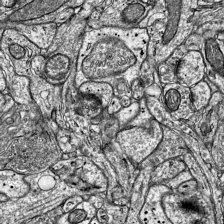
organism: Mouse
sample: Visual Cortex